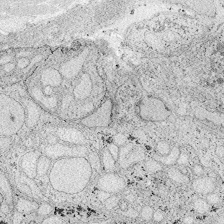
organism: Zebrafish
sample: Whole-Brain